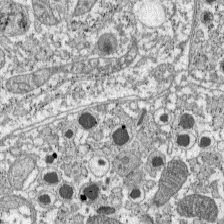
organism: C57BL Mouse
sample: Pancreatic islet